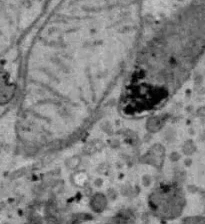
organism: Mouse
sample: Liver from an obese (ob/ob) mouse